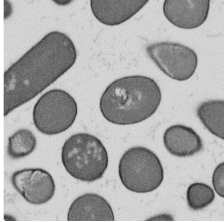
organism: B. subtilis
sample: Bacterial spore